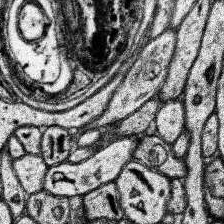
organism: Human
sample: Temporal Lobe